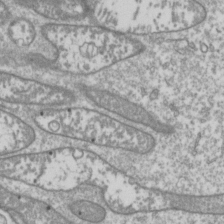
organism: Drosophila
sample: Cell division; meiosis; drosophila spermatocytes